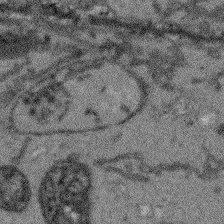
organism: Arabidopsis thaliana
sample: Root tip